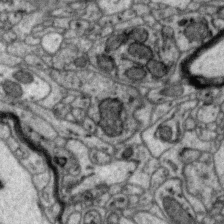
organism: Zebra finch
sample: Brain